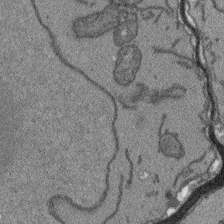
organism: Arabidopsis thaliana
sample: Root tip